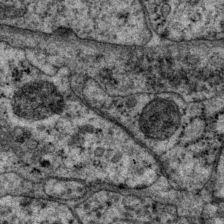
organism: P. pacificus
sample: Pharynx